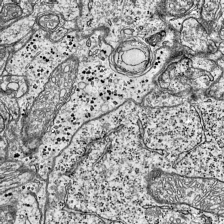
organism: Mouse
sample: Visual Cortex